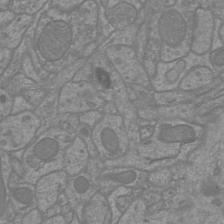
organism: Mouse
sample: Cortical neurons